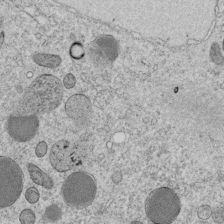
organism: C. elegans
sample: C. elegans embryo early stage